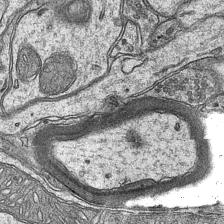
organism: Mouse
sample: CA1 Hippocampus